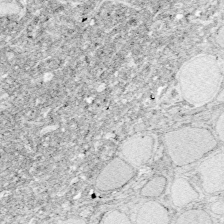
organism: Zebrafish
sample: Whole-Brain